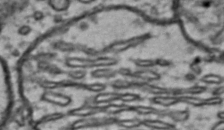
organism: Drosophila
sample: Brain